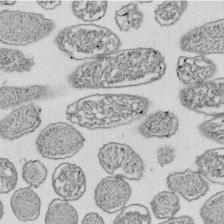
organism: E. coli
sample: Bacterial nucleoid